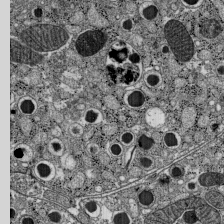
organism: C57BL Mouse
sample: Pancreatic islet